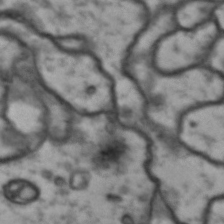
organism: Drosophila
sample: Brain